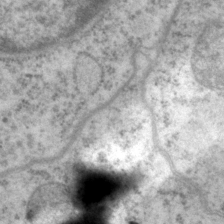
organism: P. pacificus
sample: Pharynx